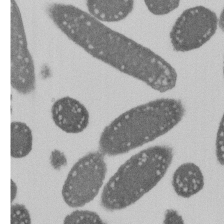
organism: E. coli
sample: Bacterial nucleoid